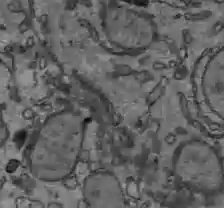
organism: C57BL Mouse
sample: Liver